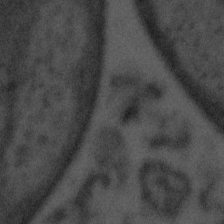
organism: Tuwongella immobilis